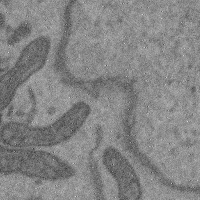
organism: Mouse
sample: Cerebral cortex